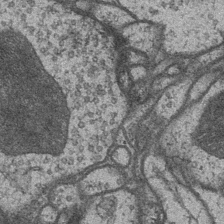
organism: Drosophila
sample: Optic medulla